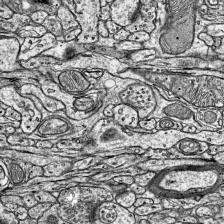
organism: Mouse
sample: Visual Cortex